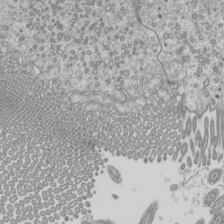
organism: Mouse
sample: Cilia; mouse epididymis